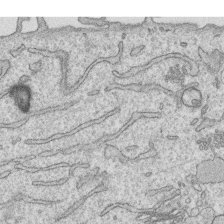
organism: Human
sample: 1205lu cells